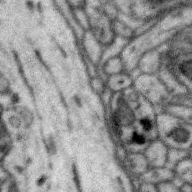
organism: Zebra finch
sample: Brain